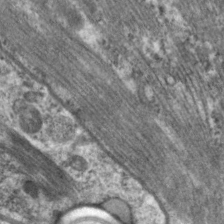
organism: C. elegans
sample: Pharynx